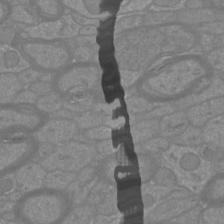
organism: Mouse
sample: Cortical neurons